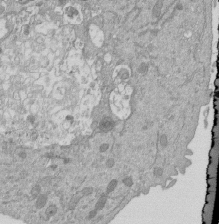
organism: Mouse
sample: ED-1 cell nuclei; centrioles